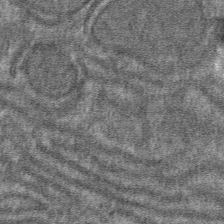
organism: Mouse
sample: Mouse hepatocytes